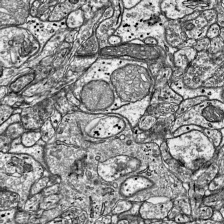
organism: Mouse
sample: Visual Cortex